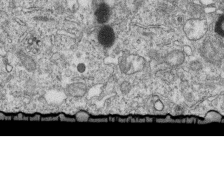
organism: Human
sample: HeLa cell HIV synapse